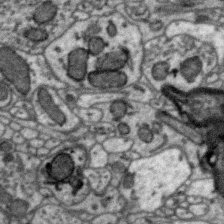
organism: Zebra finch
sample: Brain